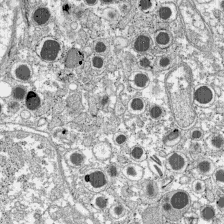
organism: C57BL Mouse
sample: Pancreatic islet